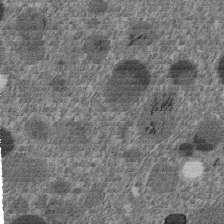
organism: C. elegans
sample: C. elegans embryo early stage